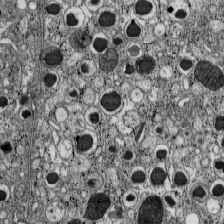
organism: C57BL Mouse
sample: Pancreatic islet